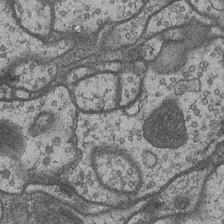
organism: Drosophila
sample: Optic medulla